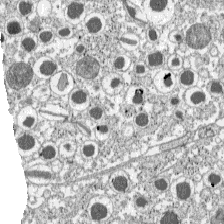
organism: C57BL Mouse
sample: Pancreatic islet